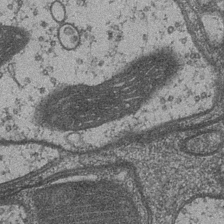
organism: Drosophila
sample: Optic medulla